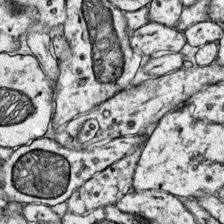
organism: Mouse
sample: Primary visual cortex